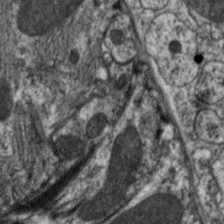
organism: C. elegans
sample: Pharynx